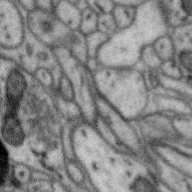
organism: Zebra finch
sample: Brain